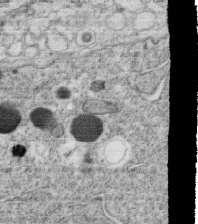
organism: C. elegans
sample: C. elegans oocyte; sperm cells